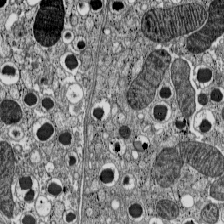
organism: C57BL Mouse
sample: Pancreatic islet